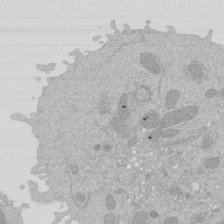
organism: Mouse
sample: Activated Pmel transgenic CD8+ T Cells